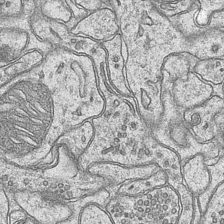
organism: Mouse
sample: CA1 Hippocampus